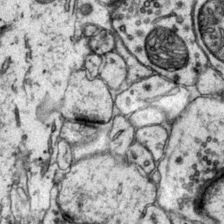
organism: Mouse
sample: Primary visual cortex